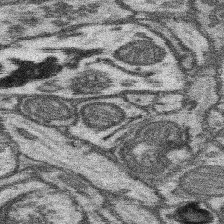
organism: Mouse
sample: Somatosensory cortex neuropil